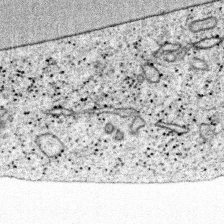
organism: Human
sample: HeLa cells